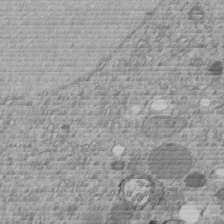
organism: C. elegans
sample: C. elegans embryo early stage